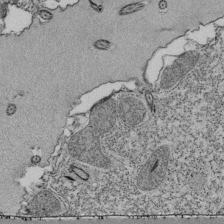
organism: Tetrahymena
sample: Cilia in tetrahymena